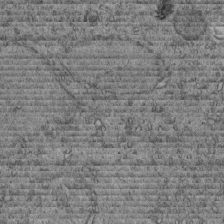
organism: C. elegans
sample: C. elegans embryo early stage